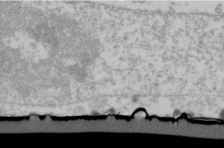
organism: Human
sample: U2-OS cells